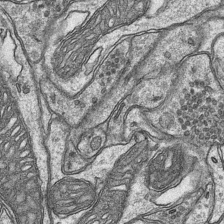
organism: Mouse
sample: CA1 Hippocampus